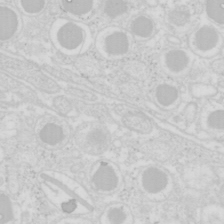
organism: Mouse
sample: Pancreas